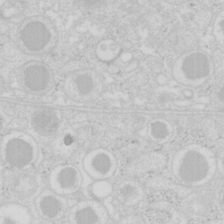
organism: Mouse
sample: Pancreas